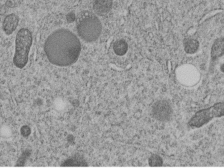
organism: C. elegans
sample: C. elegans embryo early stage